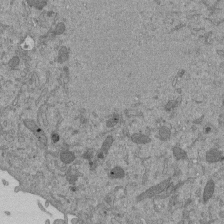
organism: Mouse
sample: ED-1 cell nuclei; centrioles